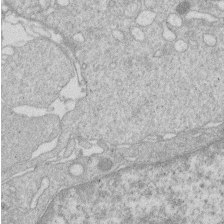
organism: Human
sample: Macrophage cells